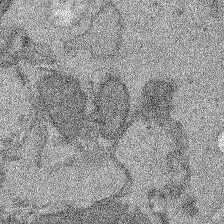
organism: Human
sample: HeLa cells